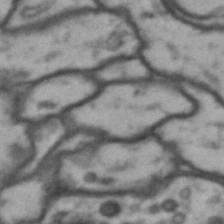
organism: Drosophila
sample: Brain